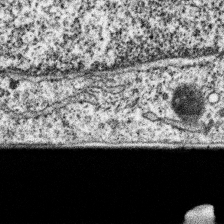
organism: Human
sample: HeLa cells